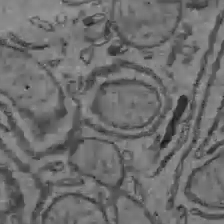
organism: C57BL Mouse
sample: Liver